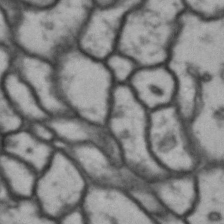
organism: Drosophila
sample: Brain